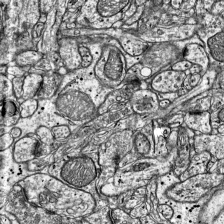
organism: Mouse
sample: Visual Cortex